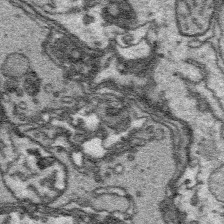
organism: Platynereis dumerilii